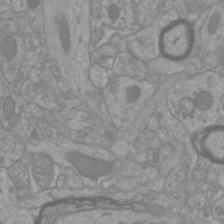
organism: Mouse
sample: Cortical neurons